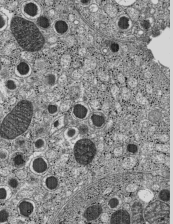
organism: C57BL Mouse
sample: Pancreatic islet